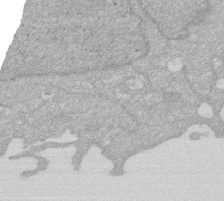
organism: Human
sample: HIV infected U937 cells